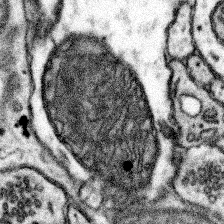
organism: Mouse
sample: Somatosensory cortex neuropil